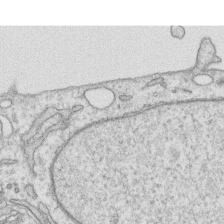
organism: Human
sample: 1205lu cells